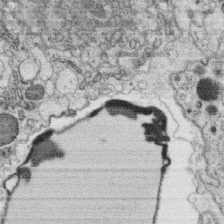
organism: C. elegans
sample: C. elegans oocyte; sperm cells